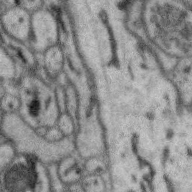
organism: Zebra finch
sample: Brain